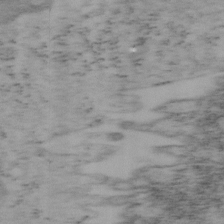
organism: Mouse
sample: OT-I killer T cells with ID8 ovarian cancer cells